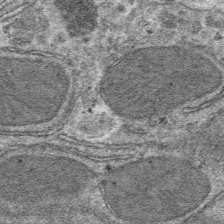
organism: Mouse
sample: Mouse hepatocytes